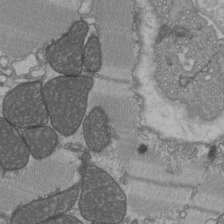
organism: C57BL Mouse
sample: Heart